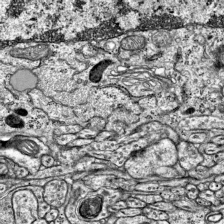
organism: Mouse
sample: Visual Cortex